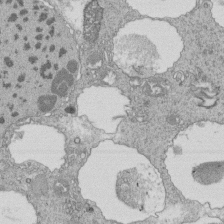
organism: Tetrahymena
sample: Cilia in tetrahymena